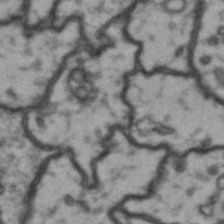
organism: Drosophila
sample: Brain